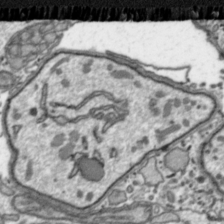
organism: Toxoplasma gondii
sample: Parasites in a vacuole inside a host cell